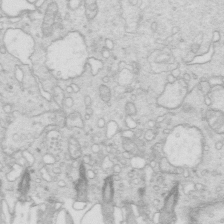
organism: Mouse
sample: Multiciliated cells